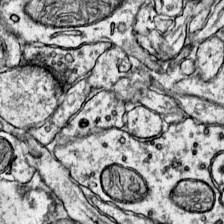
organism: Mouse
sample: Primary visual cortex